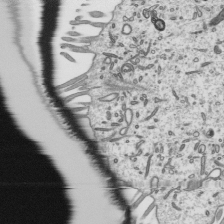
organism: Mouse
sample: Mouse epididymis efferent ductule cilia